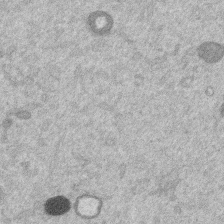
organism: Mouse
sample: Dividing mouse embryo 1 cell stage